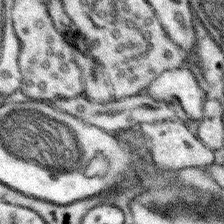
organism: Mouse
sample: Somatosensory cortex neuropil